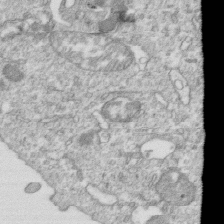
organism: Mouse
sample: Activated OT-1 CD8+ T cells